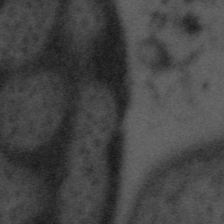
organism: Tuwongella immobilis